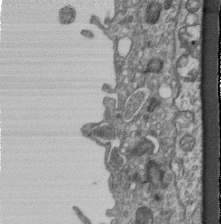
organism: Mouse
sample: Centriole in ependymal cells